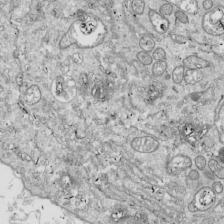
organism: Drosophila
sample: Cell division; meiosis; drosophila spermatocytes